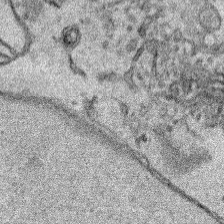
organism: Human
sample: Mitochondria in HCT116 cells